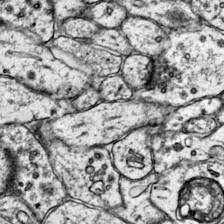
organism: Mouse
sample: Primary visual cortex